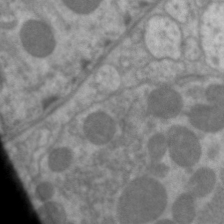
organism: C. elegans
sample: Pharynx